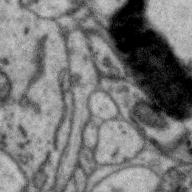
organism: Zebra finch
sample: Brain